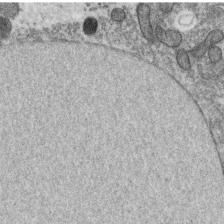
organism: C. elegans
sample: C. elegans oocyte; sperm cells